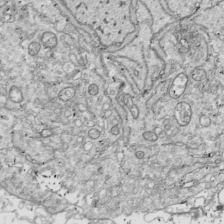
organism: Drosophila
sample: Cell division; meiosis; drosophila spermatocytes